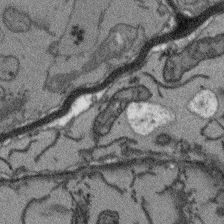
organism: Arabidopsis thaliana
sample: Root tip